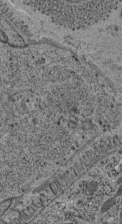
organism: C. elegans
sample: C. elegans pharynx